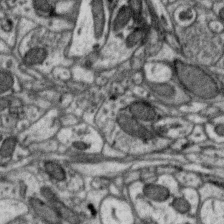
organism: Zebra finch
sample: Brain